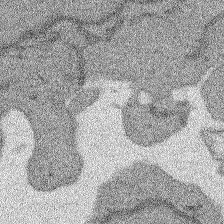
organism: Human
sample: HeLa cells